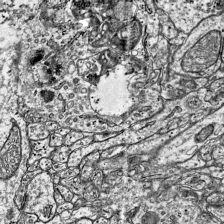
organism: Mouse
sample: Visual Cortex